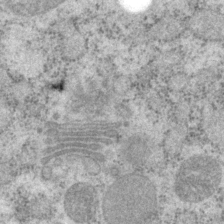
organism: P. pacificus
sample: Pharynx